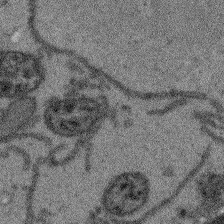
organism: Arabidopsis thaliana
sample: Root tip